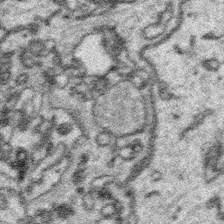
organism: Platynereis dumerilii